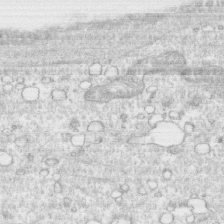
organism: Human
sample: CRL-1474